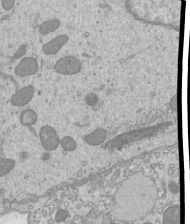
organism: Mouse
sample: Cilia; mouse epididymis